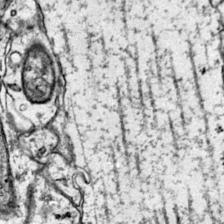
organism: Mouse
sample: Primary visual cortex